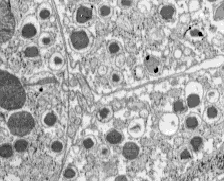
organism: C57BL Mouse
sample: Pancreatic islet